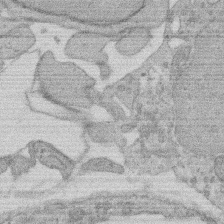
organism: Rat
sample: Salivary granule